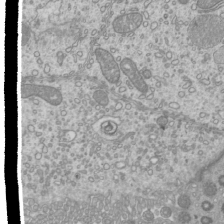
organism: Mouse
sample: Cilia; mouse epididymis